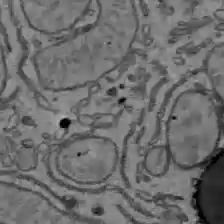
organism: C57BL Mouse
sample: Liver